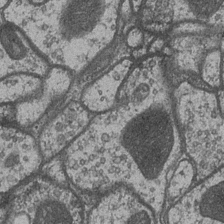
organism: Drosophila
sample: Optic medulla